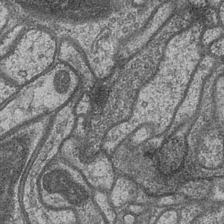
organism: Drosophila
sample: Optic medulla